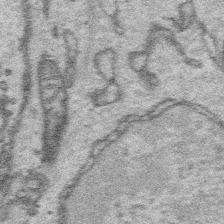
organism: Platynereis dumerilii